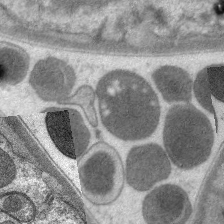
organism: C. elegans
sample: Pharynx